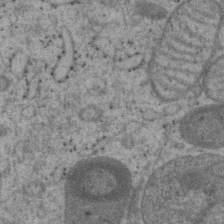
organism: Human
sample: HeLa cells